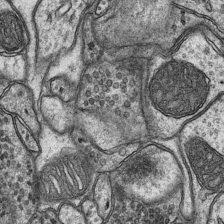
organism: Mouse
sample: CA1 Hippocampus